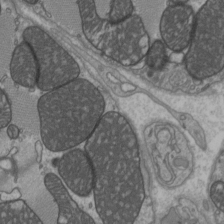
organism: C57BL Mouse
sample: Heart